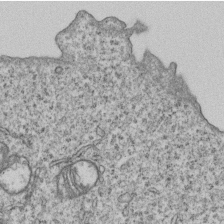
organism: Human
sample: MDA-MB-231 cells